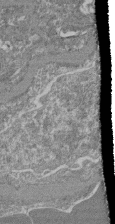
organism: Mouse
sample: Glomerulus